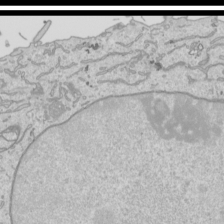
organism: Human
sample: Mitochondria in HCT116 cells